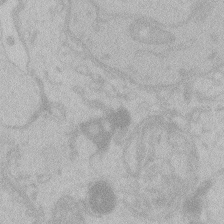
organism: Zebrafish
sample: Macrophage infected with Toxoplasma gondii